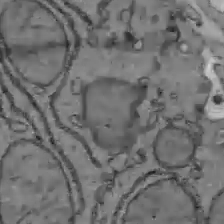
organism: C57BL Mouse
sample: Liver